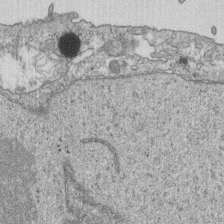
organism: Human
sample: HeLa cell HIV synapse